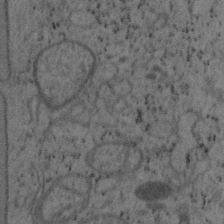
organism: Human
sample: HeLa cells